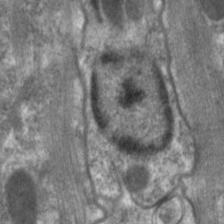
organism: C. elegans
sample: Pharynx